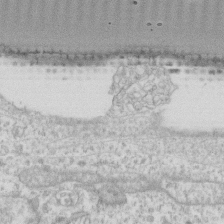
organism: Human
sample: Fibroblast cells